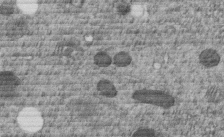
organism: C. elegans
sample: C. elegans embryo early stage